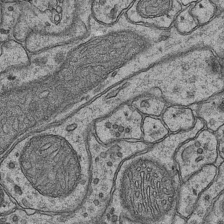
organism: Mouse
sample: CA1 Hippocampus